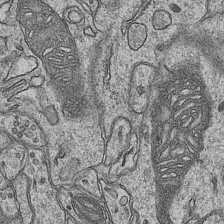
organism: Mouse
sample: CA1 Hippocampus